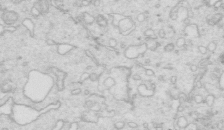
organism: Mouse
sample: Multiciliated cells